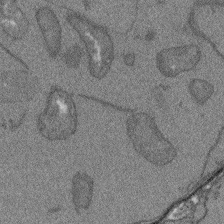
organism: Arabidopsis thaliana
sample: Root tip